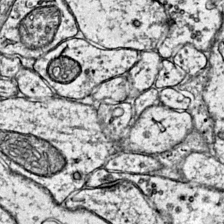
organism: Mouse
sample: Primary visual cortex